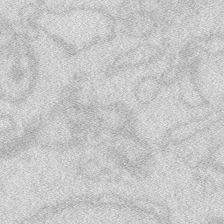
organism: Zebrafish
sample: Macrophage